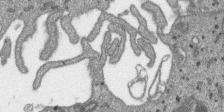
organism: Human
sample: Lung epithelial cells infected with SARS-CoV-2